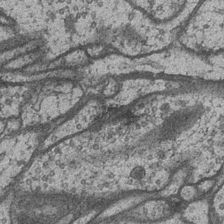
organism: Drosophila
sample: Optic medulla